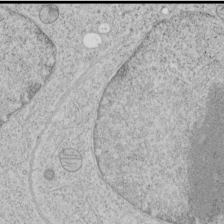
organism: Human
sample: Mitochondria in HCT116 cells